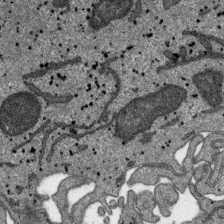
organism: Human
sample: Lung epithelial cells, uninfected (mock) control